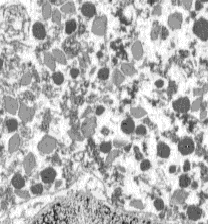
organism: C57BL Mouse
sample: Pancreatic islet